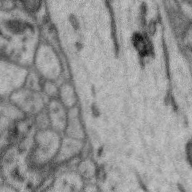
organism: Zebra finch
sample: Brain